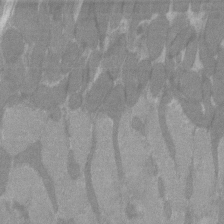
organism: C57BL Mouse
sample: Tibialis anterior muscle cell